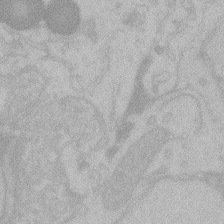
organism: Zebrafish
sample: Macrophage infected with Toxoplasma gondii